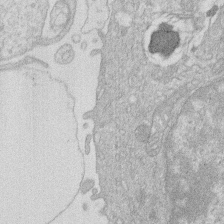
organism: Human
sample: Macrophage cells